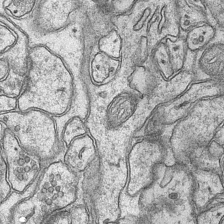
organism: Mouse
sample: CA1 Hippocampus